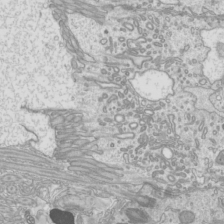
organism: Mouse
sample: Cilia; mouse epididymis